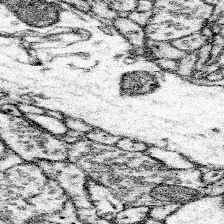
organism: Mouse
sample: Somatosensory cortex neuropil